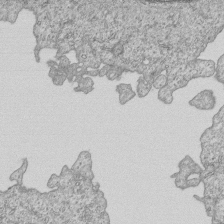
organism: Human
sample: MDA-MB-231 cells